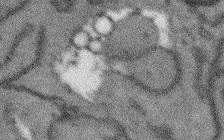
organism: Arabidopsis thaliana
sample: Root tip